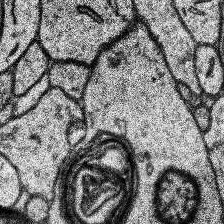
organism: Human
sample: Temporal Lobe